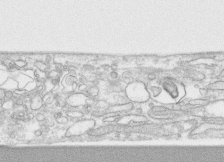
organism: Human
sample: CRL-1474